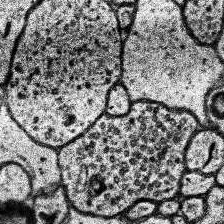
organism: Human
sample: Temporal Lobe